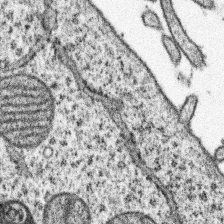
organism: Human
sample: HeLa cells